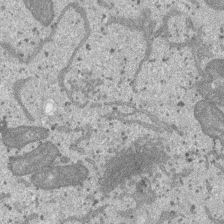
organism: Human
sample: Lung epithelial cells infected with SARS-CoV-2